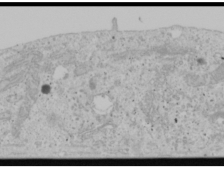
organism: Human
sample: Mitochondria in U2OS cells